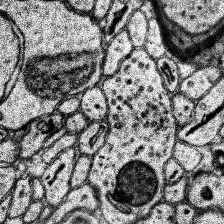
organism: Human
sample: Temporal Lobe